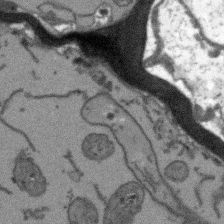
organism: Arabidopsis thaliana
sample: Root tip